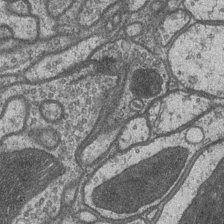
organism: Drosophila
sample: Optic medulla